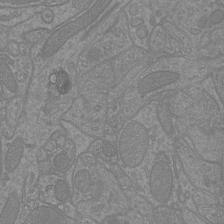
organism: Mouse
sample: Cortical neurons